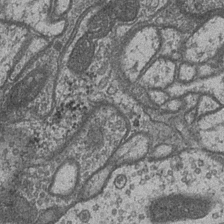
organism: Drosophila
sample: Optic medulla